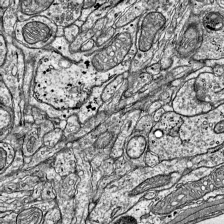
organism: Mouse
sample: Visual Cortex